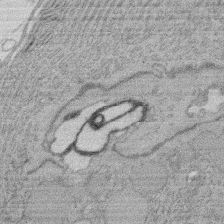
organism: Rat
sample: Salivary granule